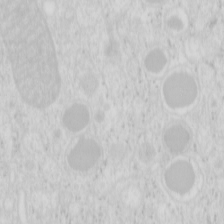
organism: Mouse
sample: Pancreas